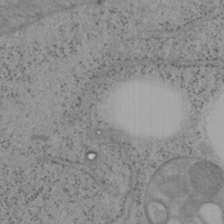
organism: Mouse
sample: OT-I killer T cells with ID8 ovarian cancer cells